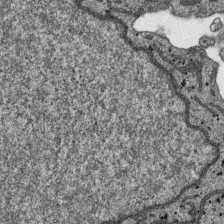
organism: Human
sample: Lung epithelial cells infected with SARS-CoV-2